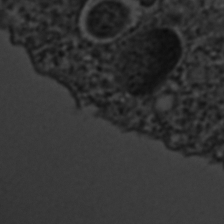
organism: C. elegans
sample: C. elegans embryo